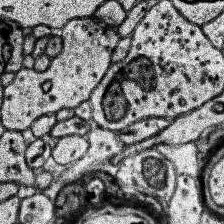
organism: Human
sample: Temporal Lobe